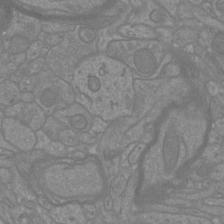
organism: Mouse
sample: Cortical neurons